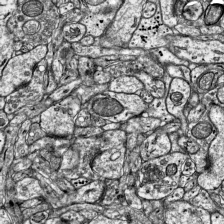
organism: Mouse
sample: Visual Cortex